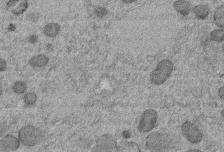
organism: C. elegans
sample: C. elegans embryo early stage